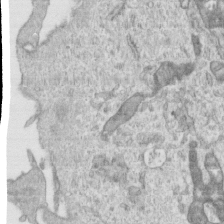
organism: Human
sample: Centriole in RPE cells